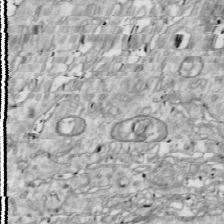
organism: Drosophila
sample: Cell division; meiosis; drosophila spermatocytes